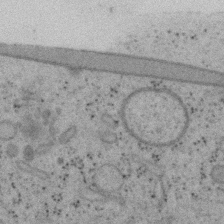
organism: Human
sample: HeLa cells